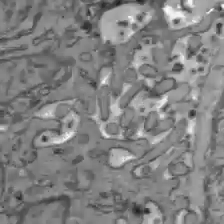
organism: C57BL Mouse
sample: Liver